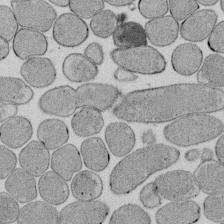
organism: E. coli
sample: Bacterial nucleoid